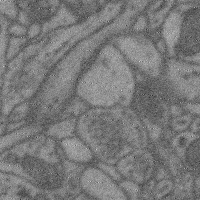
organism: Mouse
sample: Cerebral cortex